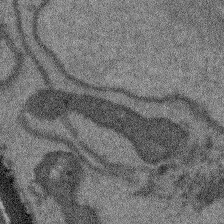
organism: Arabidopsis thaliana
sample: Root tip